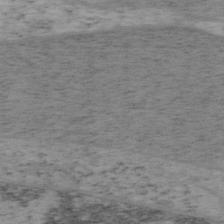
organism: Mouse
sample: OT-I killer T cells with ID8 ovarian cancer cells